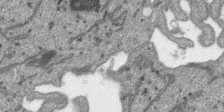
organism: Human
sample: Lung epithelial cells infected with SARS-CoV-2